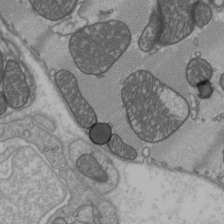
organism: C57BL Mouse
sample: Heart